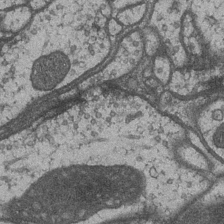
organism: Drosophila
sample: Optic medulla